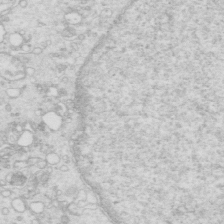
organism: Mouse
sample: Multiciliated cells